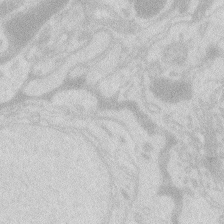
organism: Zebrafish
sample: Macrophage